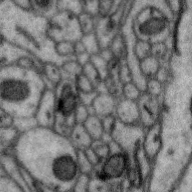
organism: Zebra finch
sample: Brain